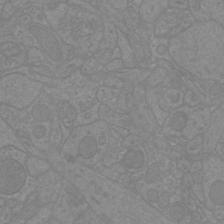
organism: Mouse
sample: Cortical neurons